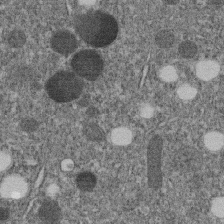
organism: C. elegans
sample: C. elegans embryo early stage